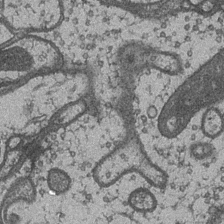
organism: Drosophila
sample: Optic medulla